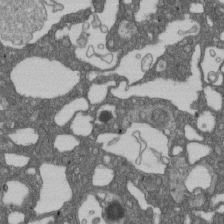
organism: Drosophila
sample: Nephrocyte